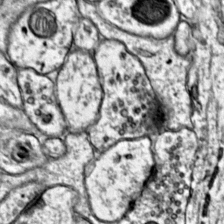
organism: Mouse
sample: Primary visual cortex